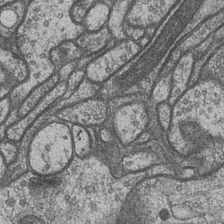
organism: Drosophila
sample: Optic medulla